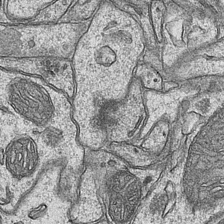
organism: Mouse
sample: CA1 Hippocampus